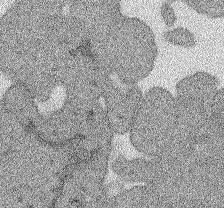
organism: Human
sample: HeLa cells